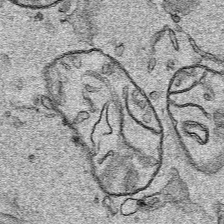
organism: Human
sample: Mitochondria in HCT116 cells